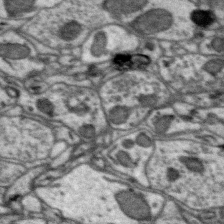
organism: Zebra finch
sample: Brain